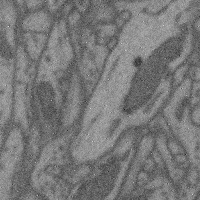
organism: Mouse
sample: Cerebral cortex